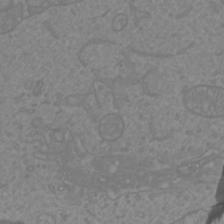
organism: Mouse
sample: Cortical neurons